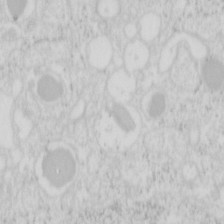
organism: Mouse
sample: Pancreas